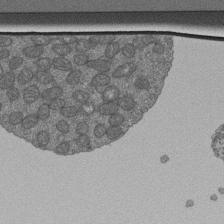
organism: Human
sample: Retinal organoid Rod and Cone cells